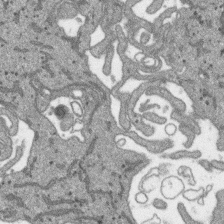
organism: Human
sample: Lung epithelial cells infected with SARS-CoV-2